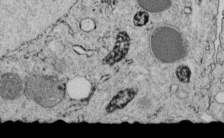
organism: C. elegans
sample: C. elegans embryo early stage